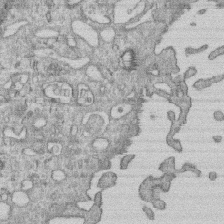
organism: Human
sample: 1205lu cells